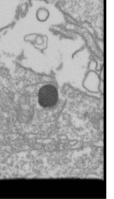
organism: Drosophila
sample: Cell division; meiosis; drosophila spermatocytes